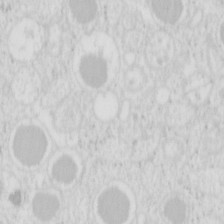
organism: Mouse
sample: Pancreas